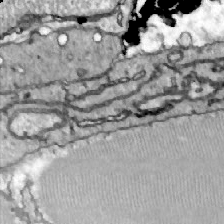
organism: Zebrafish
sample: Actinotrichia fibers